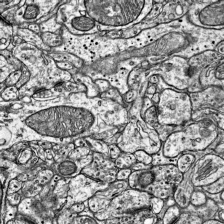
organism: Mouse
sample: Visual Cortex